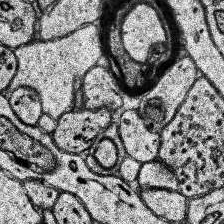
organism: Human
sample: Temporal Lobe